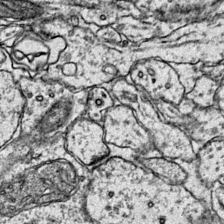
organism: Mouse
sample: Primary visual cortex